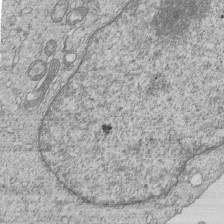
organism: Human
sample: MDA-MB-231 cells